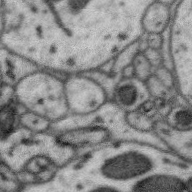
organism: Zebra finch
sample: Brain